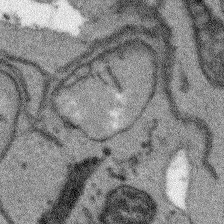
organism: Arabidopsis thaliana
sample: Root tip